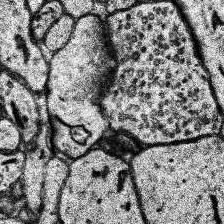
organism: Human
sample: Temporal Lobe